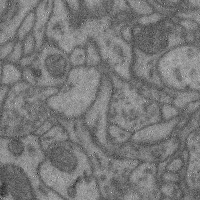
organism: Mouse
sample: Cerebral cortex